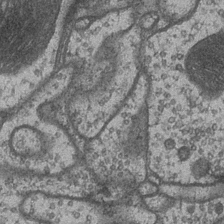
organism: Drosophila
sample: Optic medulla